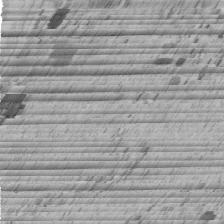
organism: C. elegans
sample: C. elegans embryo early stage